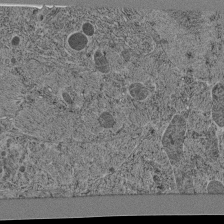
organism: C. elegans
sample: C. elegans pharynx